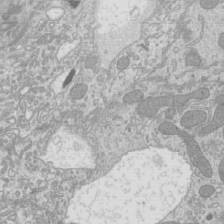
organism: Mouse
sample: Cilia; mouse epididymis